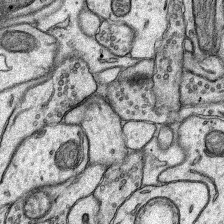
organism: Rat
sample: Hippocampus